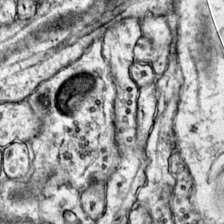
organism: Mouse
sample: Primary visual cortex